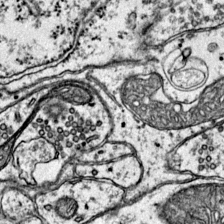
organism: Mouse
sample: Primary visual cortex